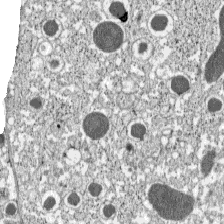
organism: C57BL Mouse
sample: Pancreatic islet